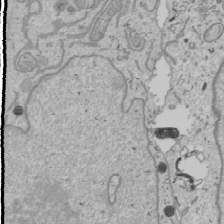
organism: Human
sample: Mitochondria in U2OS cells